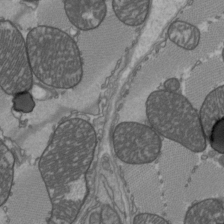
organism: C57BL Mouse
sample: Heart